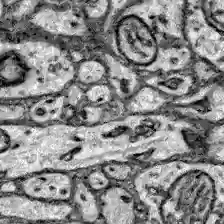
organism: Zebrafish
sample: Brain